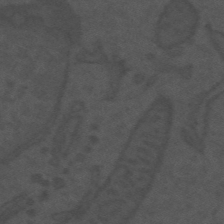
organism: Mouse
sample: Suprachiasmatic nucleus